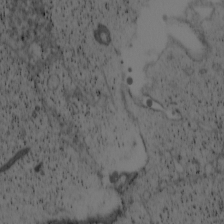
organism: African green monkey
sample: COS-7 cells